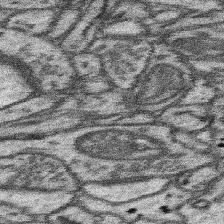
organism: Mouse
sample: Somatosensory cortex neuropil